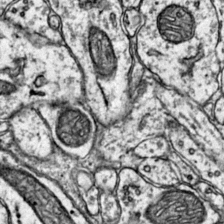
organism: Mouse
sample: Primary visual cortex